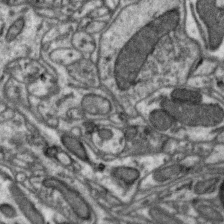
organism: Zebra finch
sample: Brain